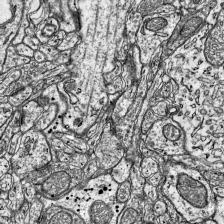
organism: Mouse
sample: Visual Cortex